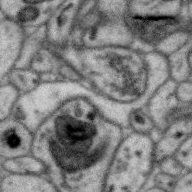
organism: Zebra finch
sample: Brain